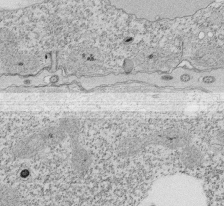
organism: Tetrahymena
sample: Cilia in tetrahymena